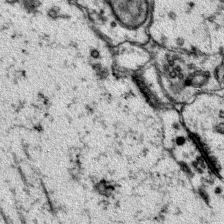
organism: Mouse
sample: Primary visual cortex